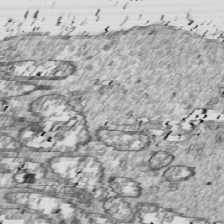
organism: Drosophila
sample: Cell division; meiosis; drosophila spermatocytes